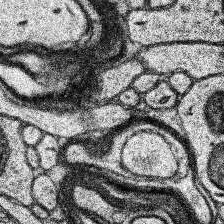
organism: Human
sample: Temporal Lobe